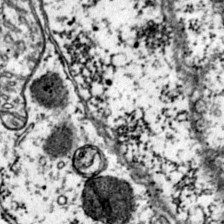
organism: Mouse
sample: Primary visual cortex